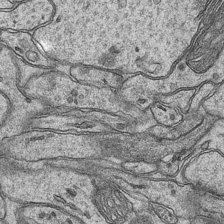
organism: Mouse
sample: CA1 Hippocampus